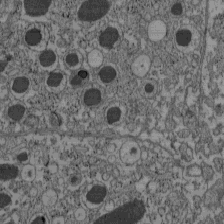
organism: C57BL Mouse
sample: Pancreatic islet